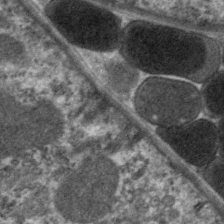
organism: C. elegans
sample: Pharynx